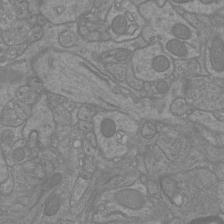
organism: Mouse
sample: Cortical neurons